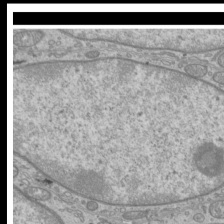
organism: Mouse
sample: Cilia; mouse epididymis